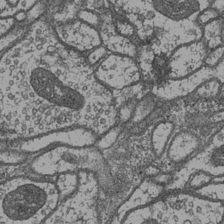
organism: Drosophila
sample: Optic medulla